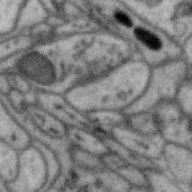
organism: Zebra finch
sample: Brain